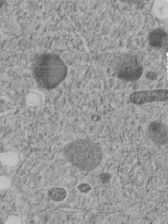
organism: C. elegans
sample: C. elegans embryo early stage